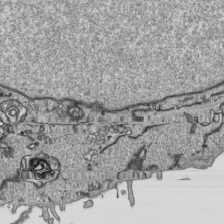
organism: Human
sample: Mitochondria in HCT116 cells